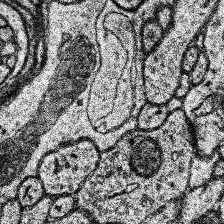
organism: Human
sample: Temporal Lobe